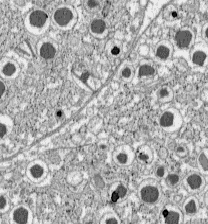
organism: C57BL Mouse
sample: Pancreatic islet